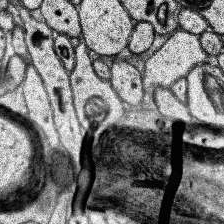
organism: Human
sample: Temporal Lobe